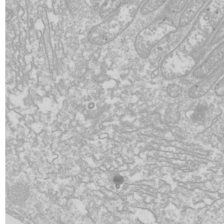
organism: Drosophila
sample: Cell division; meiosis; drosophila spermatocytes